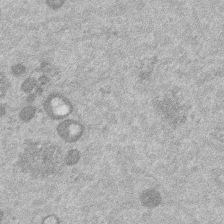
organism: Mouse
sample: Dividing mouse embryo 1 cell stage